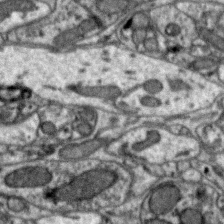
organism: Zebra finch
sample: Brain